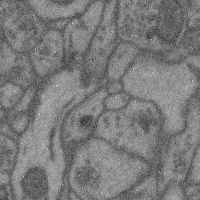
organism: Mouse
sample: Cerebral cortex